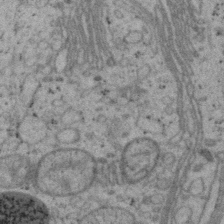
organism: Human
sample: HeLa cells